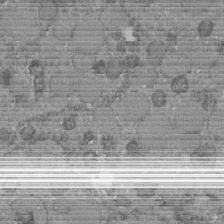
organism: C. elegans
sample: C. elegans embryo early stage